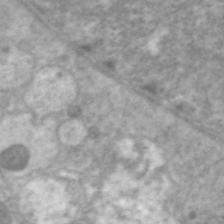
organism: C. elegans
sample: Pharynx